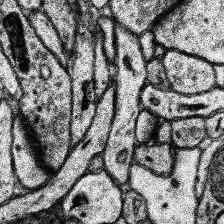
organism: Human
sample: Temporal Lobe